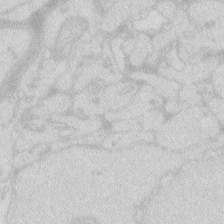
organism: Zebrafish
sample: Macrophage